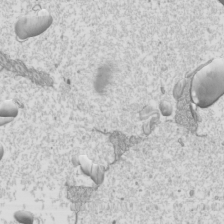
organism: Mouse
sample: Cilia; mouse epididymis